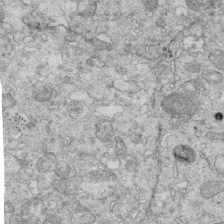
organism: Mouse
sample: Multiciliated cells